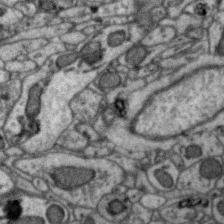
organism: Zebra finch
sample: Brain